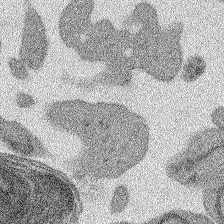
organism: Human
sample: HeLa cells